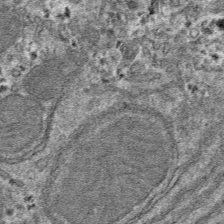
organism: Mouse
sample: Mouse hepatocytes